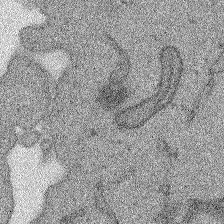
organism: Human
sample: HeLa cells